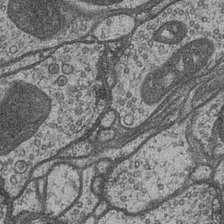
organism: Drosophila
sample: Optic medulla